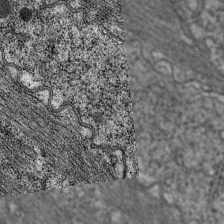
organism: C. elegans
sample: Pharynx